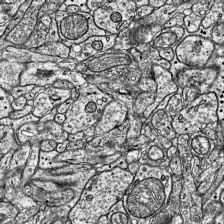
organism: Mouse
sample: Visual Cortex